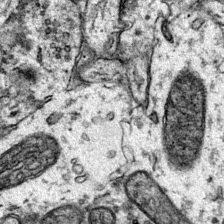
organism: Mouse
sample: Primary visual cortex